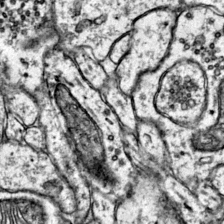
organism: Mouse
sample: Primary visual cortex